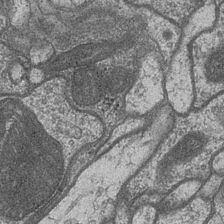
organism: Drosophila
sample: Optic medulla